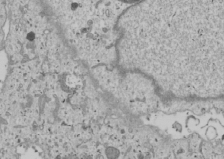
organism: Human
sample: Mitochondria in U2OS cells